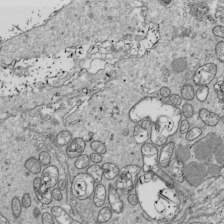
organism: Drosophila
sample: Cell division; meiosis; drosophila spermatocytes